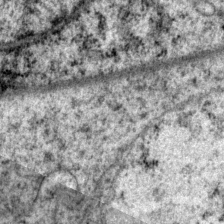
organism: P. pacificus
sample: Pharynx